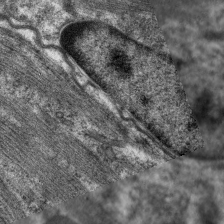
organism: C. elegans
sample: Pharynx